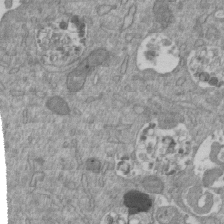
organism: Mouse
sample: ED-1 cell nuclei; centrioles